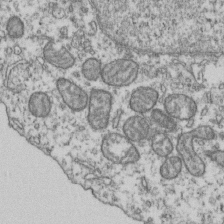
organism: Human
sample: Activated Jurkat CD4+ T cells